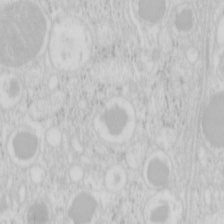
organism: Mouse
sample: Pancreas